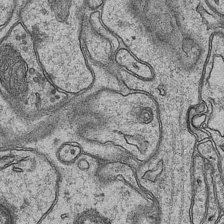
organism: Mouse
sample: CA1 Hippocampus